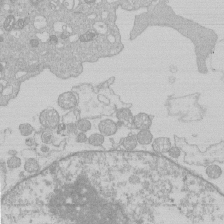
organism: Human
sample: Macrophage cells